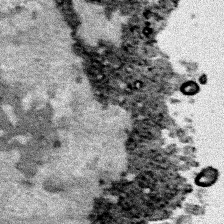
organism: Human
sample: Mitochondria in HCT116 cells